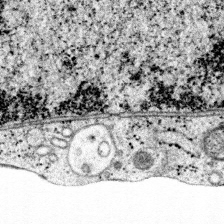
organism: Human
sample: HeLa cells